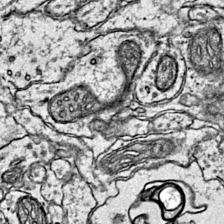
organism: Mouse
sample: Primary visual cortex